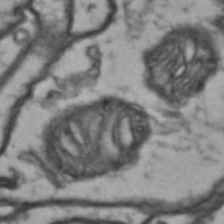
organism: Drosophila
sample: Brain